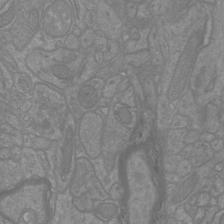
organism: Mouse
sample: Cortical neurons